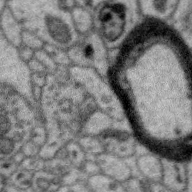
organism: Zebra finch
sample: Brain